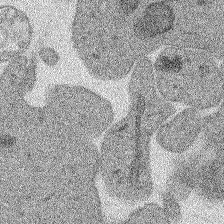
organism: Human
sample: HeLa cells